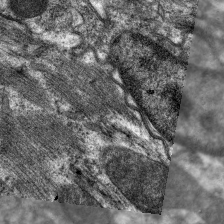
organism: C. elegans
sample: Pharynx